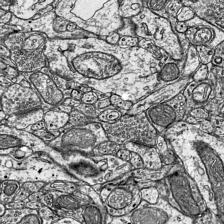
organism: Mouse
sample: Visual Cortex